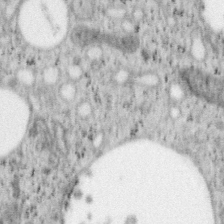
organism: Mouse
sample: OT-I killer T cells with ID8 ovarian cancer cells